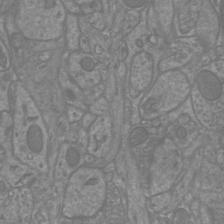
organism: Mouse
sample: Cortical neurons